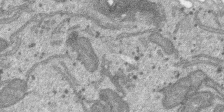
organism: Human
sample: Lung epithelial cells infected with SARS-CoV-2